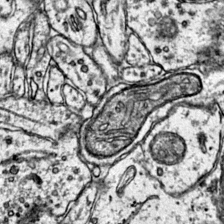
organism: Mouse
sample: Primary visual cortex